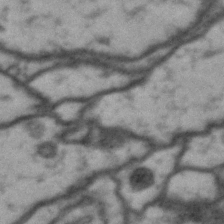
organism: Drosophila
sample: Brain